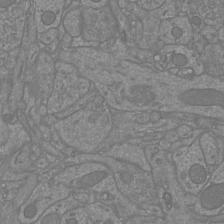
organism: Mouse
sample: Cortical neurons